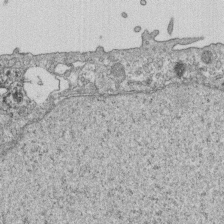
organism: Human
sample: HeLa cell HIV synapse